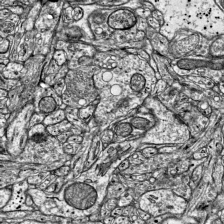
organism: Mouse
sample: Visual Cortex